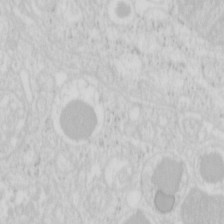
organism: Mouse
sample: Pancreas